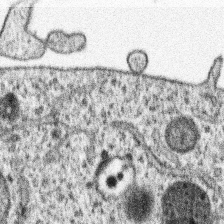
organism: Human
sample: HeLa cells